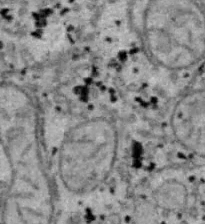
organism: Mouse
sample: Liver from an obese (ob/ob) mouse